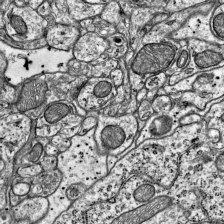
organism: Mouse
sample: Visual Cortex